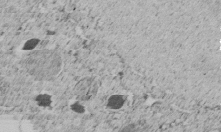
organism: C. elegans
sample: C. elegans embryo early stage